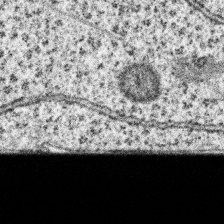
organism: Human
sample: HeLa cells